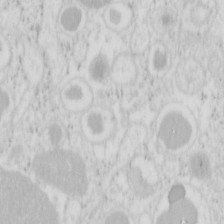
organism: Mouse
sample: Pancreas